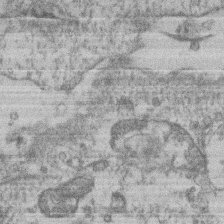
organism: Mouse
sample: T cell stromal cell synapse